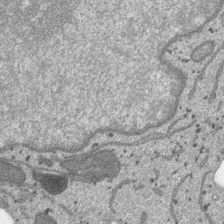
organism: Human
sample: Lung epithelial cells infected with SARS-CoV-2